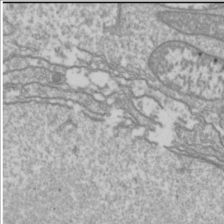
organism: Drosophila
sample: Cell division; meiosis; drosophila spermatocytes